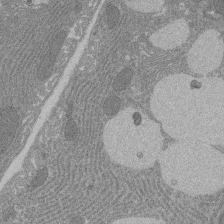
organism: Rat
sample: Salivary granule